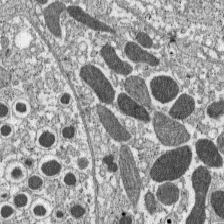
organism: C57BL Mouse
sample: Pancreatic islet